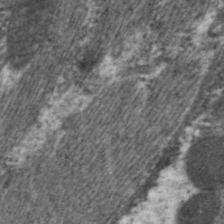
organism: C. elegans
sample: Pharynx